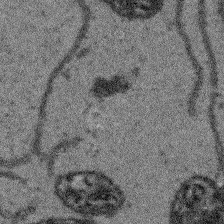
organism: Arabidopsis thaliana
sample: Root tip